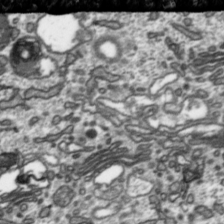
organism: Toxoplasma gondii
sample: Parasites in a vacuole inside a host cell